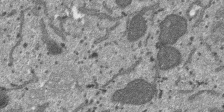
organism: Human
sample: Lung epithelial cells infected with SARS-CoV-2